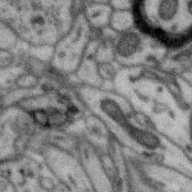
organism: Zebra finch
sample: Brain